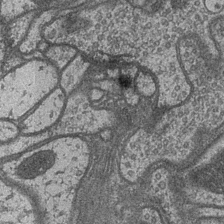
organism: Drosophila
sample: Optic medulla